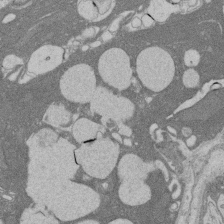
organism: Rat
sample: Salivary granule